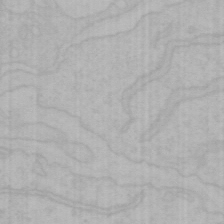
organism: Mouse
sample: Choroid plexus